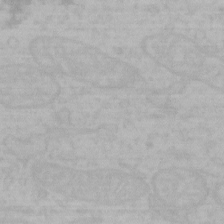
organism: Mouse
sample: Choroid plexus